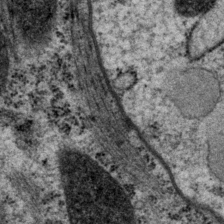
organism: P. pacificus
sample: Pharynx